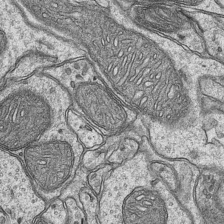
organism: Mouse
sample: CA1 Hippocampus